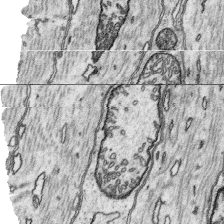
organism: Platynereis dumerilii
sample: Parapodia